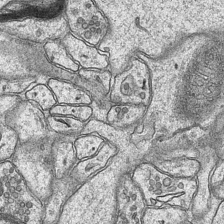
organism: Mouse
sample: CA1 Hippocampus